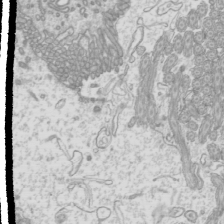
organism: Mouse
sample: Cilia; mouse epididymis